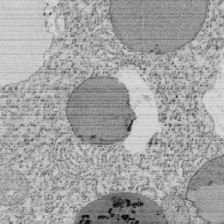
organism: Tetrahymena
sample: Cilia in tetrahymena